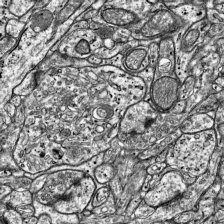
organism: Mouse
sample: Visual Cortex